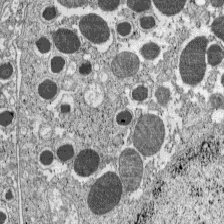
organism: C57BL Mouse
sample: Pancreatic islet